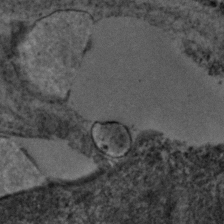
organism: Zebrafish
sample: Zebrafish embryo